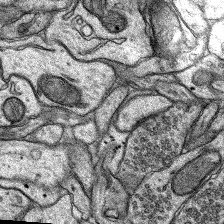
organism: Rat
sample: Hippocampus